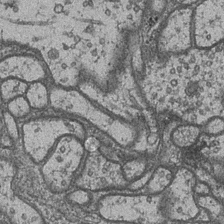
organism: Drosophila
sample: Optic medulla